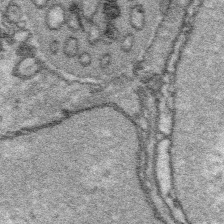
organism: Platynereis dumerilii